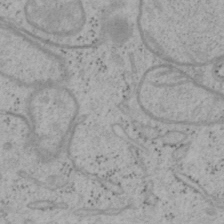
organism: Human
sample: HeLa cells